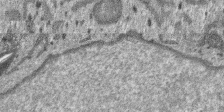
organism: Human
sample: Lung epithelial cells infected with SARS-CoV-2